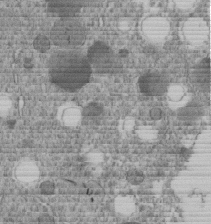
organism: C. elegans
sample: C. elegans embryo early stage